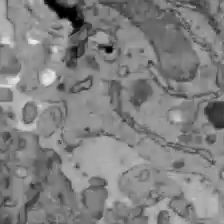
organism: C57BL Mouse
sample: Liver